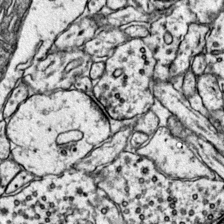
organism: Mouse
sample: Primary visual cortex